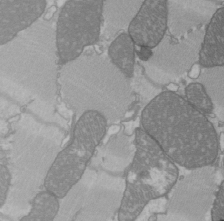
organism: C57BL Mouse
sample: Heart